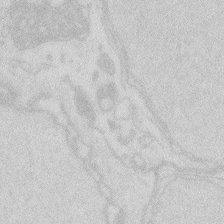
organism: Zebrafish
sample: Macrophage